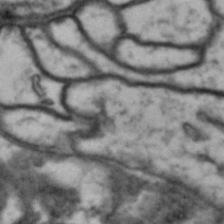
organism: Drosophila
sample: Brain